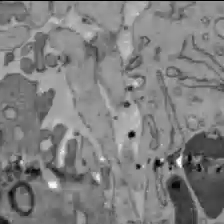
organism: C57BL Mouse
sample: Liver